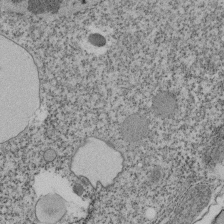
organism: Tetrahymena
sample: Cilia in tetrahymena